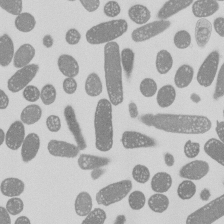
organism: E. coli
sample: Bacterial nucleoid